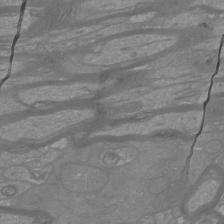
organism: Mouse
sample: Cortical neurons